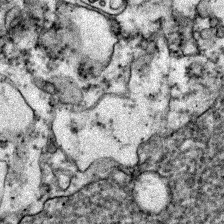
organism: Zebrafish